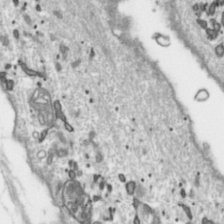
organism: Toxoplasma gondii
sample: Parasites in a vacuole inside a host cell